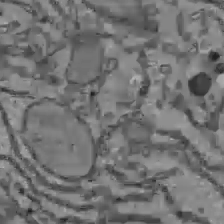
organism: C57BL Mouse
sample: Liver